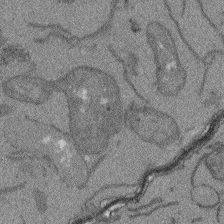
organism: Arabidopsis thaliana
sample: Root tip